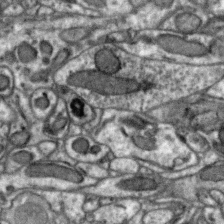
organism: Zebra finch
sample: Brain